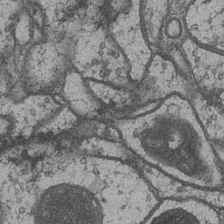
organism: Drosophila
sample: Optic medulla